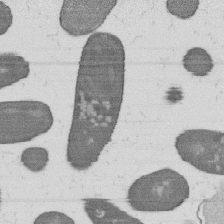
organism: B. subtilis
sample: Bacterial spore